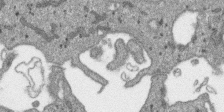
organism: Human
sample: Lung epithelial cells infected with SARS-CoV-2